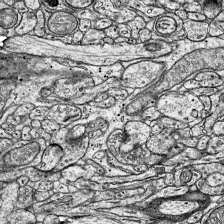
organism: Mouse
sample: Visual Cortex